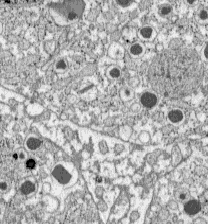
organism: C57BL Mouse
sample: Pancreatic islet